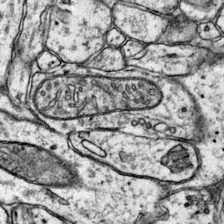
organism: Mouse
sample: Primary visual cortex